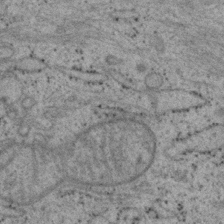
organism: Human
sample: HeLa cells